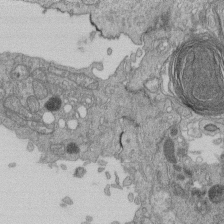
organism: Human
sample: Retinal organoid Rod and Cone cells